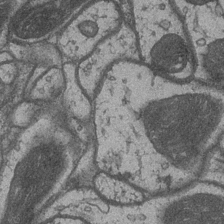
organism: Drosophila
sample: Optic medulla